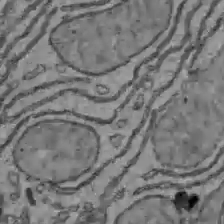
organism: C57BL Mouse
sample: Liver